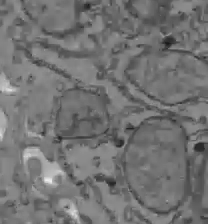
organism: C57BL Mouse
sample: Liver